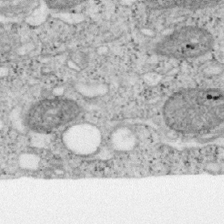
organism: Mouse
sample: OT-I killer T cells with ID8 ovarian cancer cells